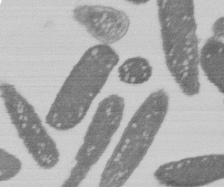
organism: E. coli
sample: Bacterial nucleoid